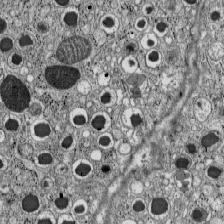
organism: C57BL Mouse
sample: Pancreatic islet